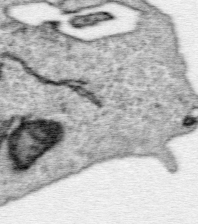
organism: Human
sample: HeLa cells